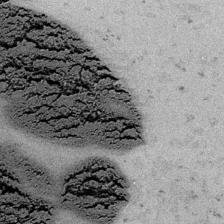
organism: Embia sp.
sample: Silk gland